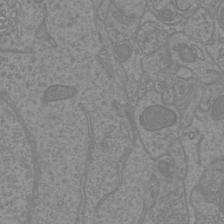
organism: Mouse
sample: Cortical neurons